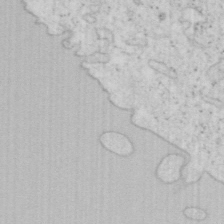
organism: Human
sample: HeLa cells